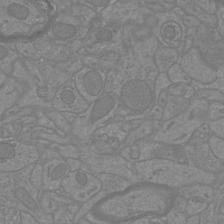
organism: Mouse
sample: Cortical neurons